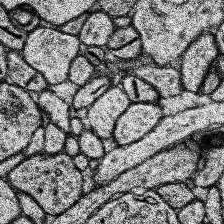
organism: Human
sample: Temporal Lobe